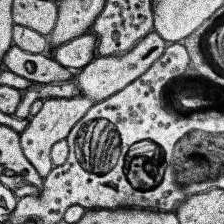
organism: Human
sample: Temporal Lobe